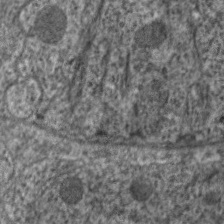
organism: C. elegans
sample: Pharynx